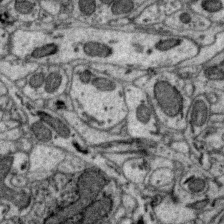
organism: Zebra finch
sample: Brain